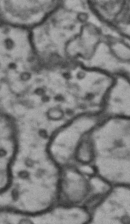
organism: Drosophila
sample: Brain